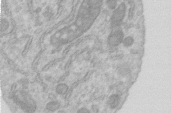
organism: Human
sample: Centriole in RPE cells